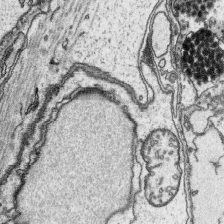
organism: Platynereis dumerilii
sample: Parapodia